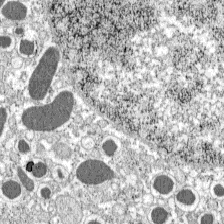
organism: C57BL Mouse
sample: Pancreatic islet